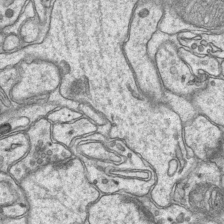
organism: Mouse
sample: CA1 Hippocampus